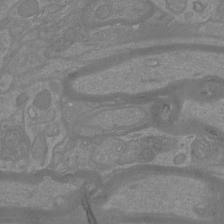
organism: Mouse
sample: Cortical neurons